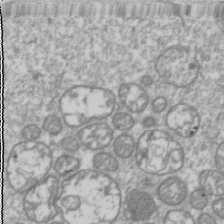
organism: Drosophila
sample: Cell division; meiosis; drosophila spermatocytes